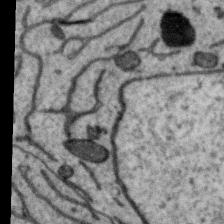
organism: Zebra finch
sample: Brain